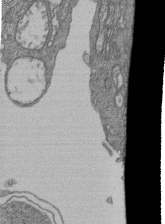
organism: Human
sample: Retinal organoid Rod and Cone cells